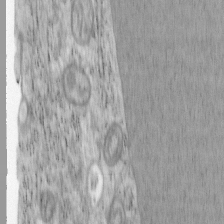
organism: Human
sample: HeLa cells